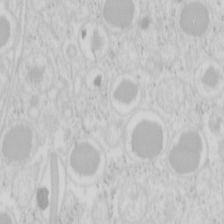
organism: Mouse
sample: Pancreas